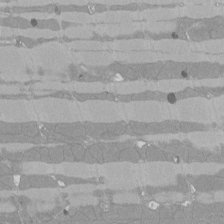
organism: Rat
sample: Left ventricle